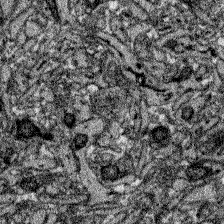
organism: Zebrafish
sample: Larval olfactory bulb